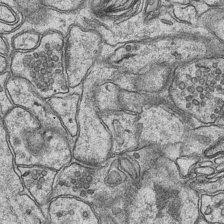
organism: Mouse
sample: CA1 Hippocampus